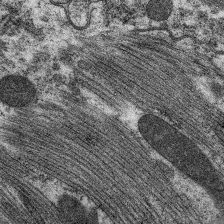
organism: C. elegans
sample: Pharynx